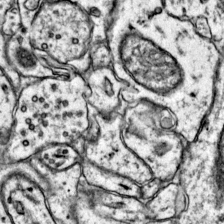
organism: Mouse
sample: Primary visual cortex